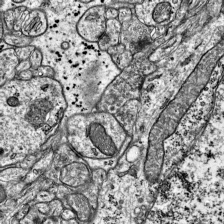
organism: Mouse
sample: Visual Cortex